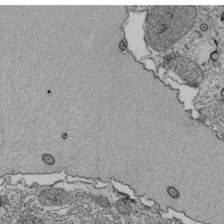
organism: Tetrahymena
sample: Cilia in tetrahymena